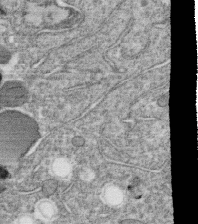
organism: C. elegans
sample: C. elegans oocyte; sperm cells